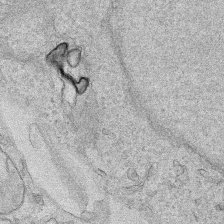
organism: Human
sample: Mitochondria in HCT116 cells